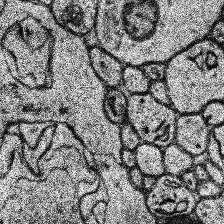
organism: Human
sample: Temporal Lobe